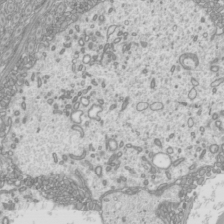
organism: Mouse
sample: Cilia; mouse epididymis